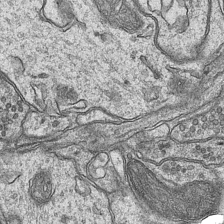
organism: Mouse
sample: CA1 Hippocampus